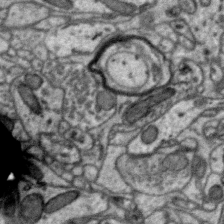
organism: Zebra finch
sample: Brain